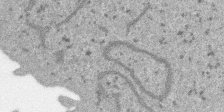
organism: Human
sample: Lung epithelial cells infected with SARS-CoV-2